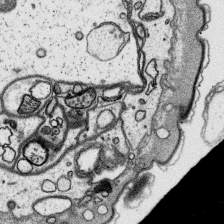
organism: Platynereis dumerilii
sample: Parapodia